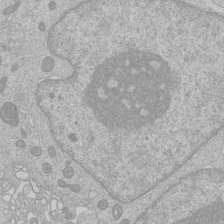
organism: Human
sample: Macrophage cells